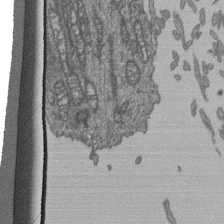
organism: Human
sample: Retinal organoid Rod and Cone cells